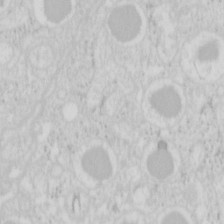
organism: Mouse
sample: Pancreas